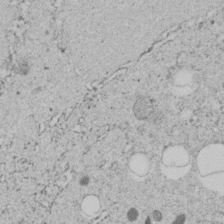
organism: C. elegans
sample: C. elegans embryo early stage